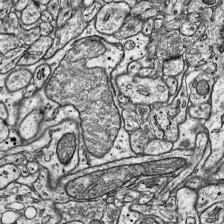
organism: Mouse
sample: Visual Cortex